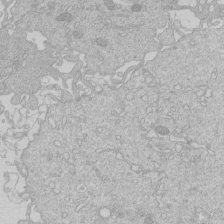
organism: Human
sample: Macrophage cells